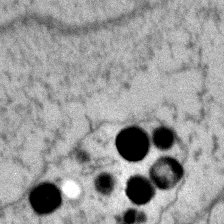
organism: Zebrafish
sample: Zebrafish embryo